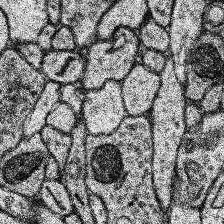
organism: Human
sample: Temporal Lobe